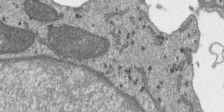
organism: Human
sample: Lung epithelial cells infected with SARS-CoV-2